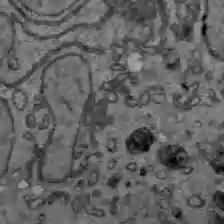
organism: C57BL Mouse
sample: Liver